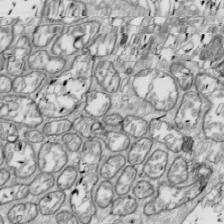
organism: Drosophila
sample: Cell division; meiosis; drosophila spermatocytes